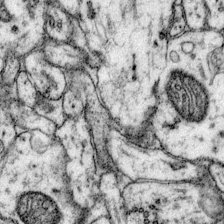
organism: Mouse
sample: Primary visual cortex